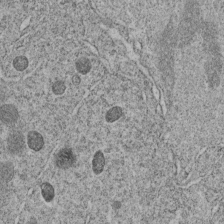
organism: C. elegans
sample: C. elegans embryo early stage